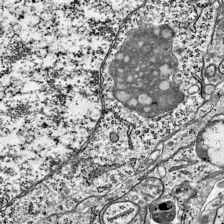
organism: Mouse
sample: Visual Cortex